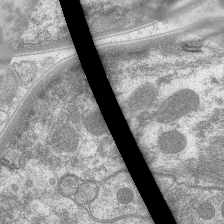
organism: C. elegans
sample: Pharynx